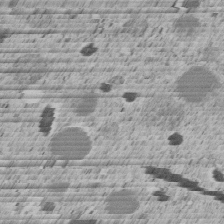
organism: C. elegans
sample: C. elegans embryo early stage